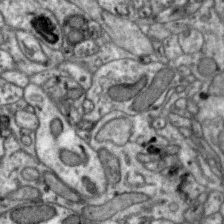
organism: Zebra finch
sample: Brain